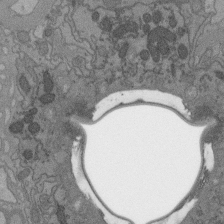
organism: C. elegans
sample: AFD neurons C. elegans